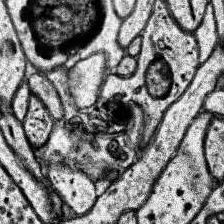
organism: Human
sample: Temporal Lobe